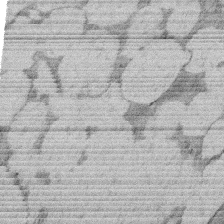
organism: Rat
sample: Salivary granule